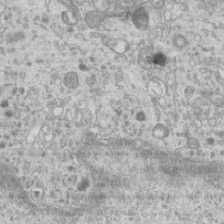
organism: Mouse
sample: Centriole in ependymal cells